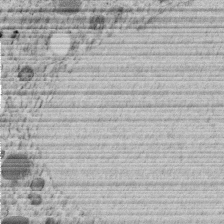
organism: C. elegans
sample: C. elegans embryo early stage